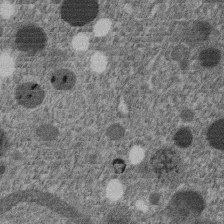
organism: C. elegans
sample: C. elegans embryo early stage